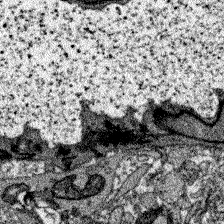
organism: Zebrafish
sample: Larval olfactory bulb